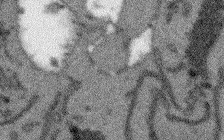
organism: Arabidopsis thaliana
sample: Root tip